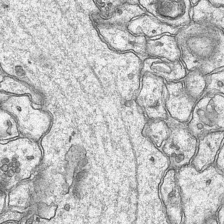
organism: Mouse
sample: CA1 Hippocampus